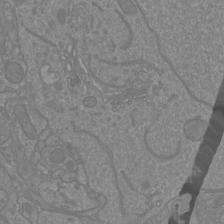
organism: Mouse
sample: Cortical neurons